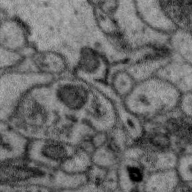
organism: Zebra finch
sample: Brain